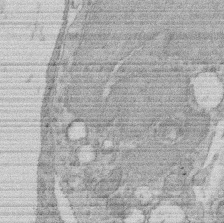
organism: Rat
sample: Salivary granule